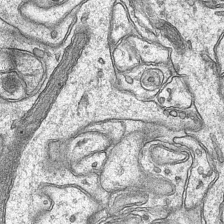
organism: Mouse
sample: CA1 Hippocampus